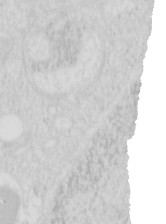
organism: Mouse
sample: Pancreas